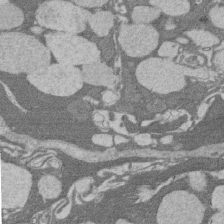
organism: Rat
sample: Salivary granule